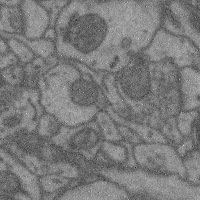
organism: Mouse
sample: Cerebral cortex